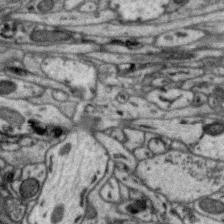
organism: Zebra finch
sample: Brain